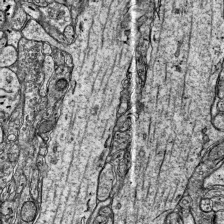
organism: Mouse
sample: Visual Cortex